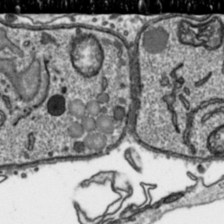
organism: Toxoplasma gondii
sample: Parasites in a vacuole inside a host cell